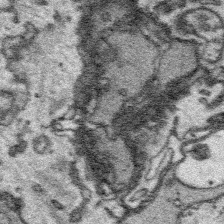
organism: Platynereis dumerilii